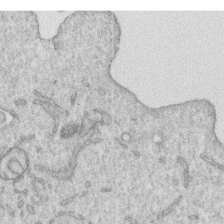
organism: Human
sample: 1205lu cells